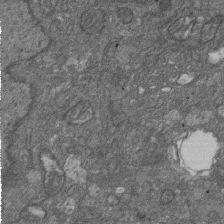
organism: Drosophila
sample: Nephrocyte